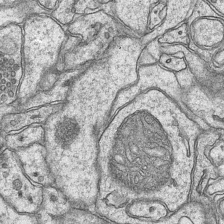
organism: Mouse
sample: CA1 Hippocampus